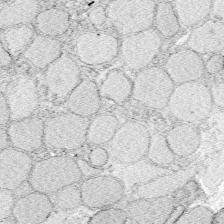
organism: Zebrafish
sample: Whole-Brain